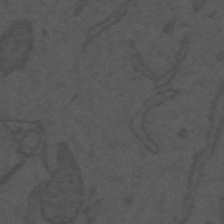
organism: Mouse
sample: Suprachiasmatic nucleus